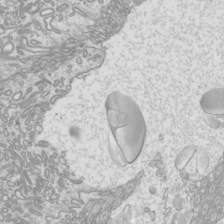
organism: Mouse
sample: Cilia; mouse epididymis